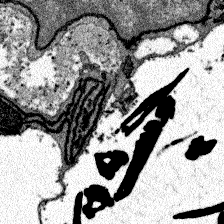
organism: Zebrafish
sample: Larval olfactory bulb